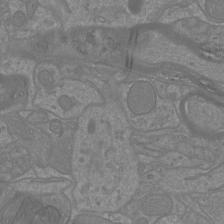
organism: Mouse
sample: Cortical neurons